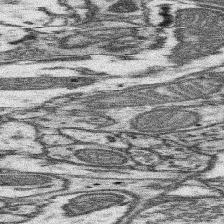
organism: Mouse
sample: Somatosensory cortex neuropil